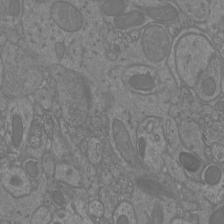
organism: Mouse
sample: Cortical neurons